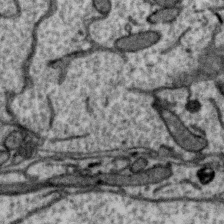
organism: Zebra finch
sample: Brain